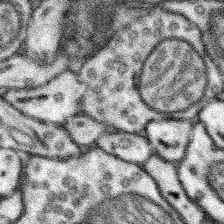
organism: Mouse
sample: Somatosensory cortex neuropil